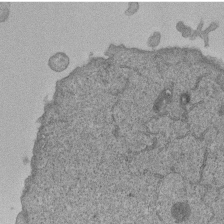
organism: Human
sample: MDA-MB-231 cells